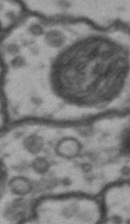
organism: Drosophila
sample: Brain